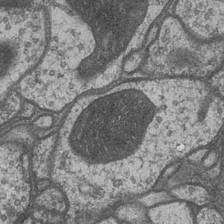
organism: Drosophila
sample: Optic medulla